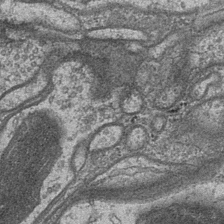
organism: Drosophila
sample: Optic medulla